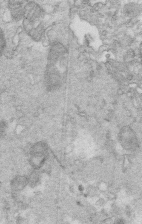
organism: Mouse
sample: Multiciliated cells